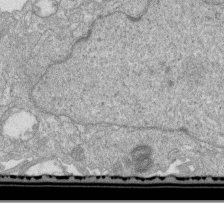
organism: Human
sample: HeLa cell HIV synapse